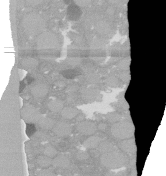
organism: C. elegans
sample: C. elegans oocyte; sperm cells